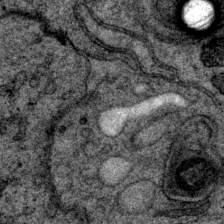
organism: P. pacificus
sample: Pharynx